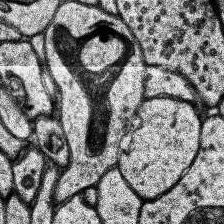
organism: Human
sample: Temporal Lobe